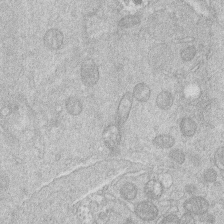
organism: Human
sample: Macrophage cells